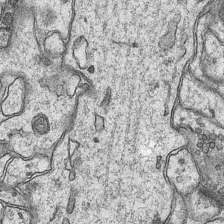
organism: Mouse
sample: CA1 Hippocampus